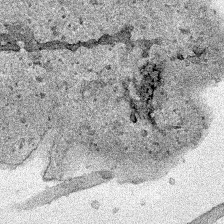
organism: Human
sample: Mitochondria in HCT116 cells